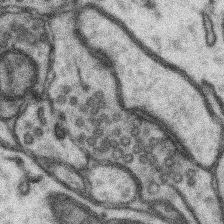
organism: Mouse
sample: Somatosensory cortex neuropil